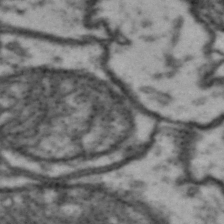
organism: Drosophila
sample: Brain